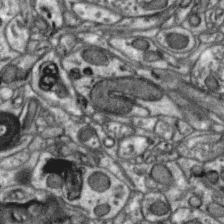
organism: Zebra finch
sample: Brain